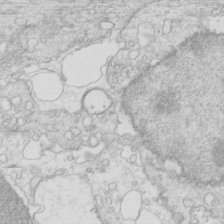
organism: Mouse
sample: Multiciliated cells